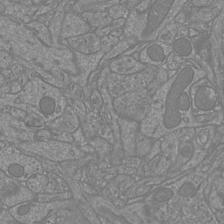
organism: Mouse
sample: Cortical neurons